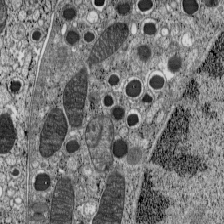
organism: C57BL Mouse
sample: Pancreatic islet